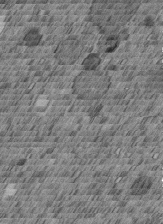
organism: C. elegans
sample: C. elegans embryo early stage